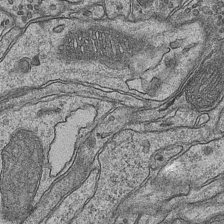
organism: Mouse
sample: CA1 Hippocampus